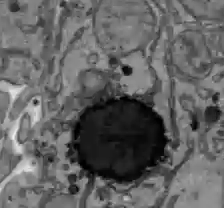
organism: C57BL Mouse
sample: Liver